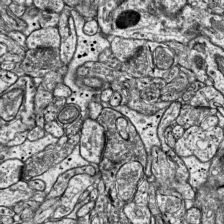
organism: Mouse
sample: Visual Cortex